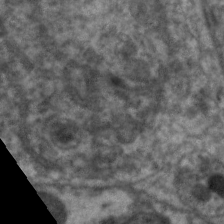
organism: C. elegans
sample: Pharynx